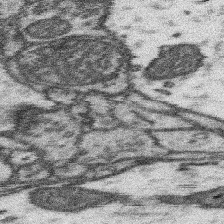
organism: Mouse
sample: Somatosensory cortex neuropil